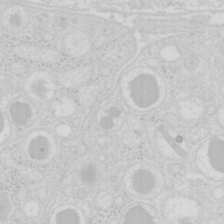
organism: Mouse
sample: Pancreas